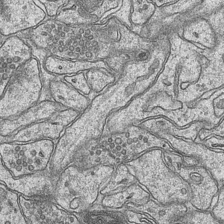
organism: Mouse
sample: CA1 Hippocampus